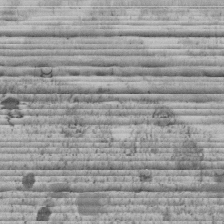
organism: C. elegans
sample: C. elegans embryo early stage